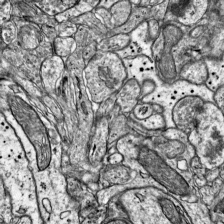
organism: Mouse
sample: Visual Cortex